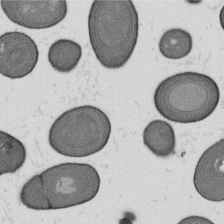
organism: B. subtilis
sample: Bacterial spore